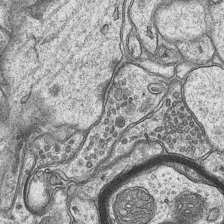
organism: Mouse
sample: CA1 Hippocampus